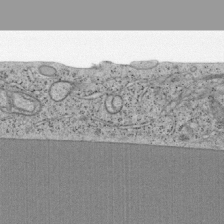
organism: Human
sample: HeLa cells